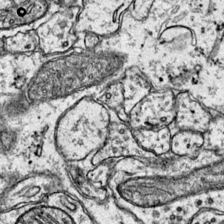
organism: Mouse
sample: Primary visual cortex